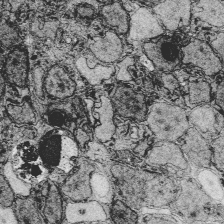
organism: Zebrafish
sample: Whole-Brain